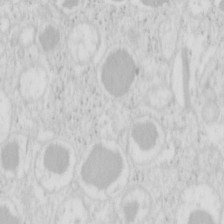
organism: Mouse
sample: Pancreas